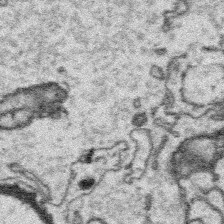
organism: Platynereis dumerilii